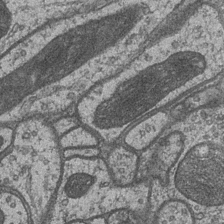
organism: Drosophila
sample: Optic medulla